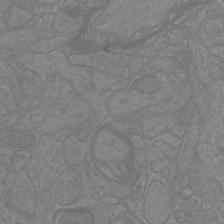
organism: Mouse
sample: Cortical neurons